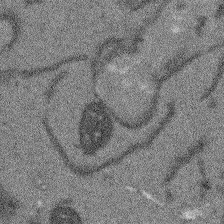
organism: Arabidopsis thaliana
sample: Root tip